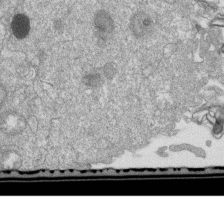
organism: Human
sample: HeLa cell HIV synapse